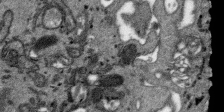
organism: Human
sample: Lung epithelial cells, uninfected (mock) control